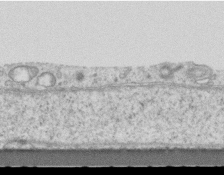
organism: Mouse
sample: Centriole in ependymal cells